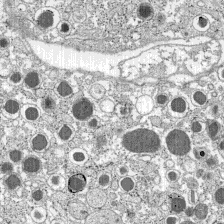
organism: C57BL Mouse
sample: Pancreatic islet